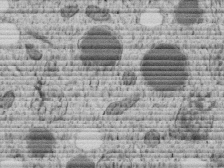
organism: C. elegans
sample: C. elegans embryo early stage